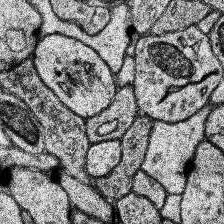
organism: Human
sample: Temporal Lobe